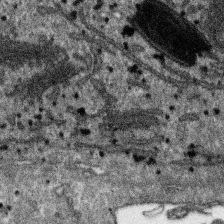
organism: Human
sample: Lung epithelial cells infected with SARS-CoV-2